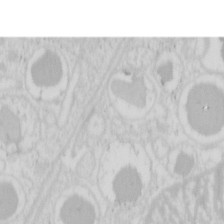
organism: Mouse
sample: Pancreas